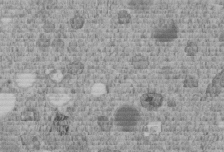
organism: C. elegans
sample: C. elegans embryo early stage